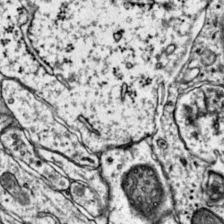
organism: Mouse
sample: Primary visual cortex